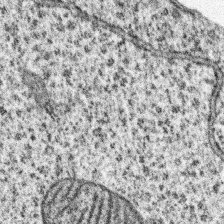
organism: Human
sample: HeLa cells